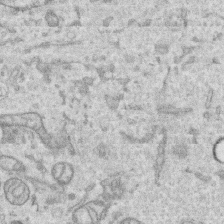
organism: Human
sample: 1205lu cells